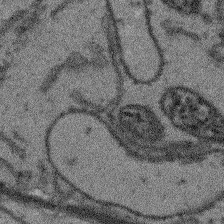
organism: Arabidopsis thaliana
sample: Root tip